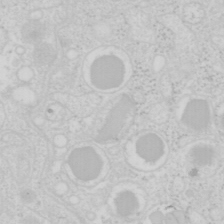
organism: Mouse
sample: Pancreas